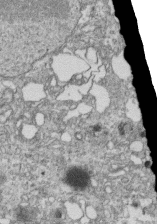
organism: Human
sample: HeLa cell HIV synapse